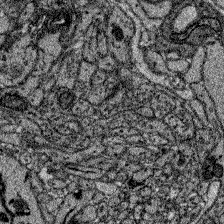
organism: Zebrafish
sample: Larval olfactory bulb